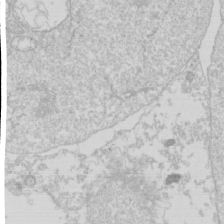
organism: Drosophila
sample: Cell division; meiosis; drosophila spermatocytes